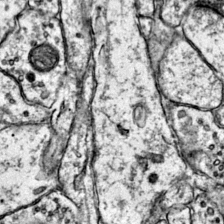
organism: Mouse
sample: Primary visual cortex